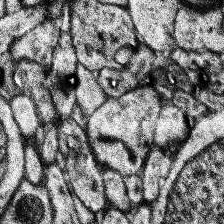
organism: Human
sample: Temporal Lobe